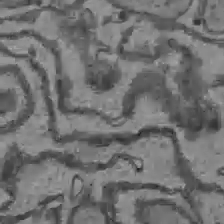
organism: C57BL Mouse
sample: Liver